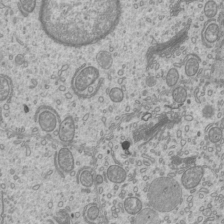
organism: Mouse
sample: Cilia; mouse epididymis